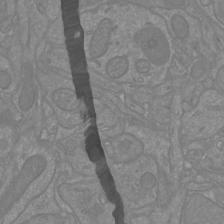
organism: Mouse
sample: Cortical neurons